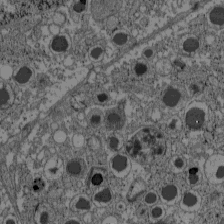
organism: C57BL Mouse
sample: Pancreatic islet